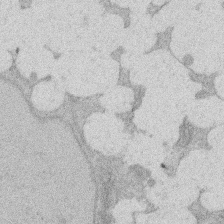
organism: Rat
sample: Salivary granule